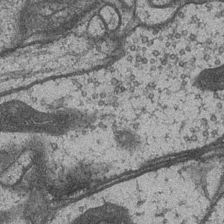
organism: Drosophila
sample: Optic medulla